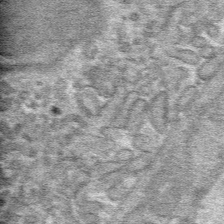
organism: Mouse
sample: Mouse hepatocytes